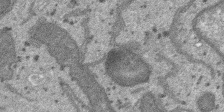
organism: Human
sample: Lung epithelial cells infected with SARS-CoV-2